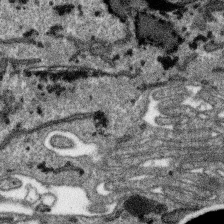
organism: Human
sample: Lung epithelial cells infected with SARS-CoV-2